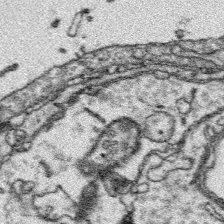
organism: Platynereis dumerilii